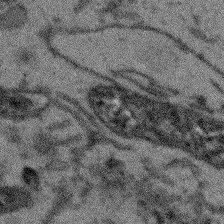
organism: Arabidopsis thaliana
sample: Root tip